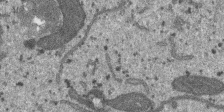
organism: Human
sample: Lung epithelial cells infected with SARS-CoV-2